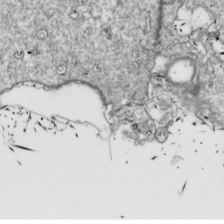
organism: Drosophila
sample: Cell division; meiosis; drosophila spermatocytes